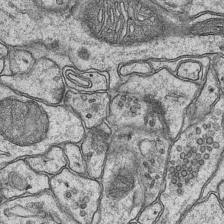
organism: Mouse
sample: CA1 Hippocampus